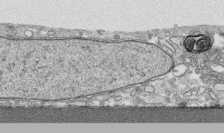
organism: Human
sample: CRL-1474